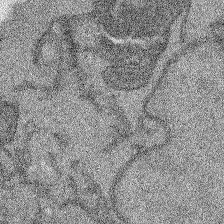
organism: Human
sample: HeLa cells